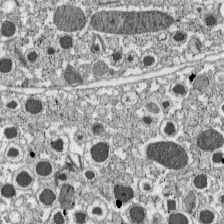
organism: C57BL Mouse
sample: Pancreatic islet